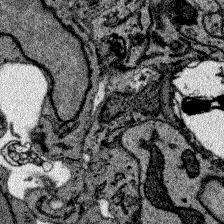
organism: Zebrafish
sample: Larval olfactory bulb